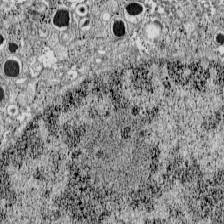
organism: C57BL Mouse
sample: Pancreatic islet